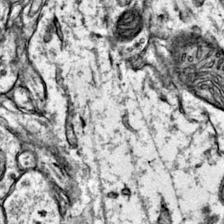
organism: Mouse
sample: Primary visual cortex